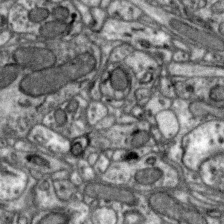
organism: Zebra finch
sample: Brain